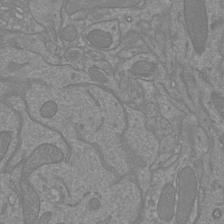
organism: Mouse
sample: Cortical neurons